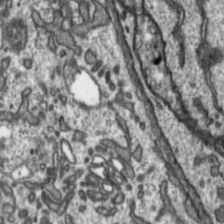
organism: Toxoplasma gondii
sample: Parasites in a vacuole inside a host cell